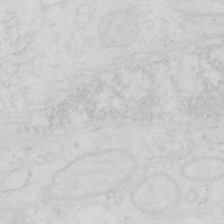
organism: Human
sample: SUM-159 cell